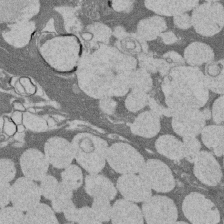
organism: Rat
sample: Salivary granule